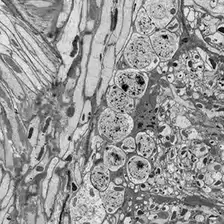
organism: Drosophila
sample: Optic lobe